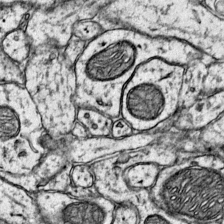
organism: Mouse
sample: Primary visual cortex